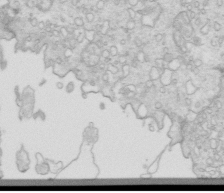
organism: Mouse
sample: Multiciliated cells